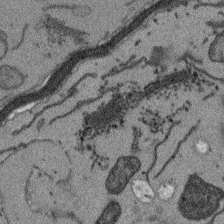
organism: Arabidopsis thaliana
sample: Root tip